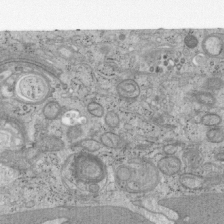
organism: Human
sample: HeLa cells